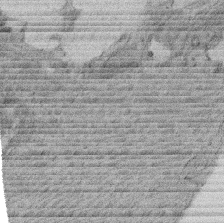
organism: Rat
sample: Salivary granule